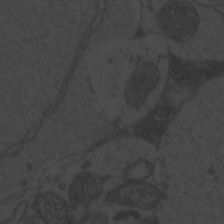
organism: Zebrafish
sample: Macrophage infected with Toxoplasma gondii